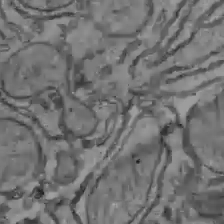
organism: C57BL Mouse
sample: Liver